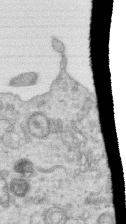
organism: Human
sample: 1205lu cells